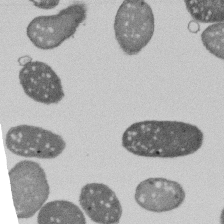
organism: E. coli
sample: Bacterial nucleoid